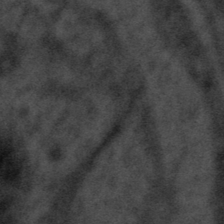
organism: Tuwongella immobilis